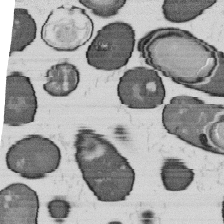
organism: B. subtilis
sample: Bacterial spore